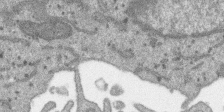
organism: Human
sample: Lung epithelial cells infected with SARS-CoV-2